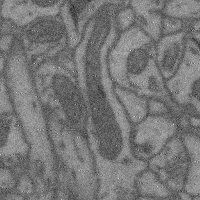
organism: Mouse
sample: Cerebral cortex